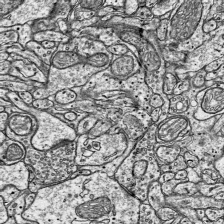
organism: Mouse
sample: Visual Cortex